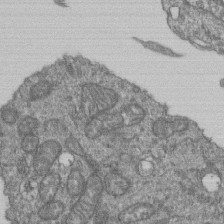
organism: Human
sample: Retinal organoid Rod and Cone cells